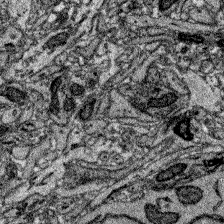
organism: Zebrafish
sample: Larval olfactory bulb